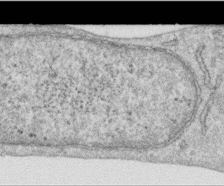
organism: Human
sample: Centriole in RPE cells